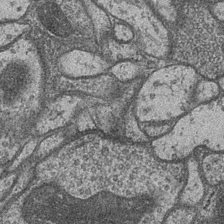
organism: Drosophila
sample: Optic medulla